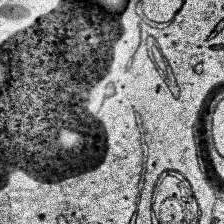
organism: Human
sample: Temporal Lobe